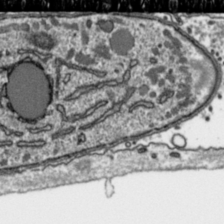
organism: Toxoplasma gondii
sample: Parasites in a vacuole inside a host cell